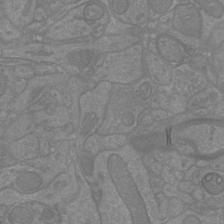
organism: Mouse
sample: Cortical neurons